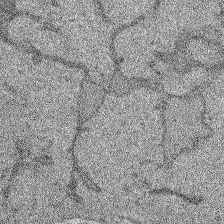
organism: Human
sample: HeLa cells